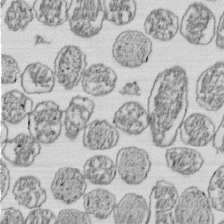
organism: E. coli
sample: Bacterial nucleoid